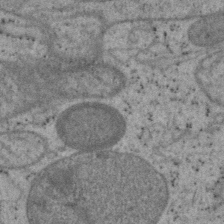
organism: Human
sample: HeLa cells